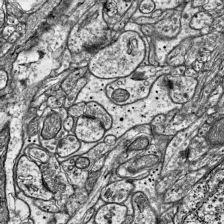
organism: Mouse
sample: Visual Cortex